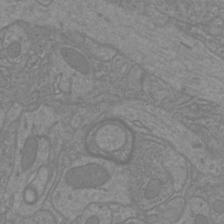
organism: Mouse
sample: Cortical neurons